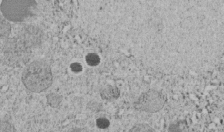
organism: C. elegans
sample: C. elegans embryo early stage